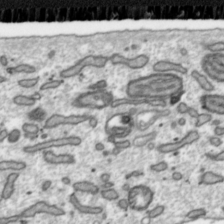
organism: Toxoplasma gondii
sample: Parasites in a vacuole inside a host cell